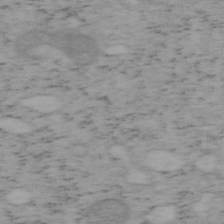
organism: Mouse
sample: OT-I killer T cells with ID8 ovarian cancer cells